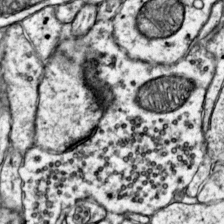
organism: Mouse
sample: Primary visual cortex